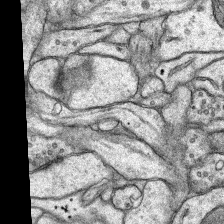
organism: Rat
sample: Hippocampus